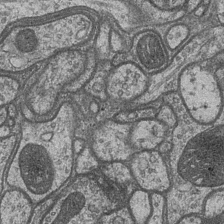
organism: Drosophila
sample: Optic medulla